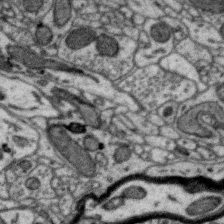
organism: Zebra finch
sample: Brain